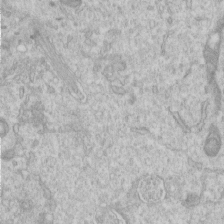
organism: Human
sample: Centriole in RPE cells